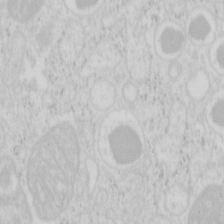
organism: Mouse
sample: Pancreas